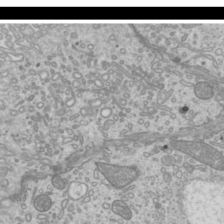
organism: Mouse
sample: Cilia; mouse epididymis